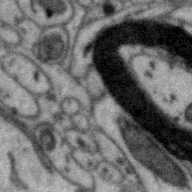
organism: Zebra finch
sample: Brain